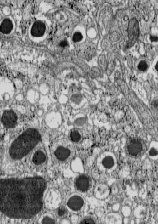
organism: C57BL Mouse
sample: Pancreatic islet